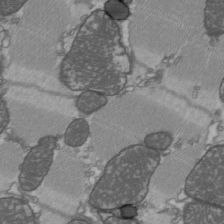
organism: C57BL Mouse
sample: Heart